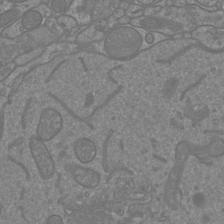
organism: Mouse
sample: Cortical neurons